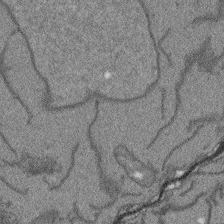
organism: Arabidopsis thaliana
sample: Root tip